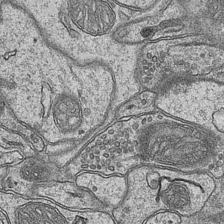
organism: Mouse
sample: CA1 Hippocampus